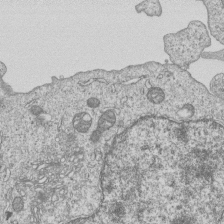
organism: Human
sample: MDA-MB-231 cells